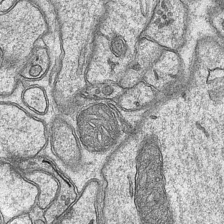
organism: Mouse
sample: CA1 Hippocampus